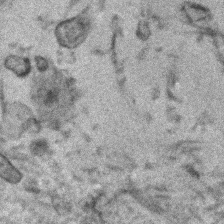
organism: Human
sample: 1205lu cells